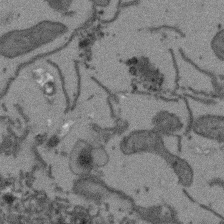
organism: Arabidopsis thaliana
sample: Root tip